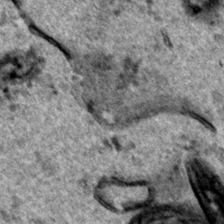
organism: Human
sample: Mitochondria in HCT116 cells